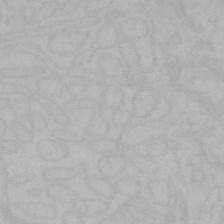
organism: Mouse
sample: Choroid plexus